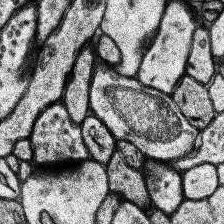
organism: Human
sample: Temporal Lobe